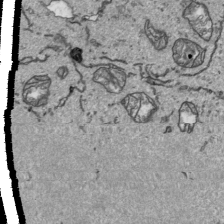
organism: Human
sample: Mitochondria in HCT116 cells